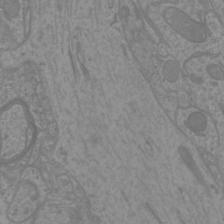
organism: Mouse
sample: Cortical neurons